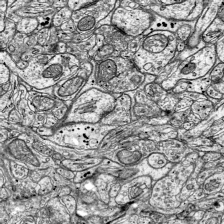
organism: Mouse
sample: Visual Cortex